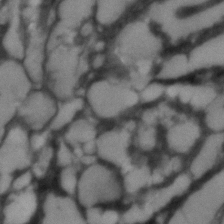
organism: C. elegans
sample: C. elegans embryo